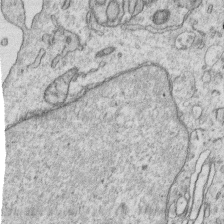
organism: Human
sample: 1205lu cells